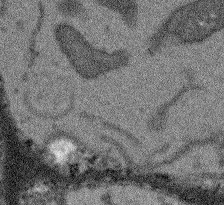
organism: Arabidopsis thaliana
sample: Root tip